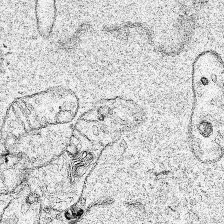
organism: Human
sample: Mitochondria in HCT116 cells